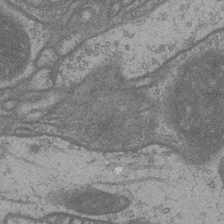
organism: Drosophila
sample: Optic medulla